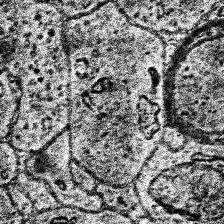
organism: Human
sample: Temporal Lobe